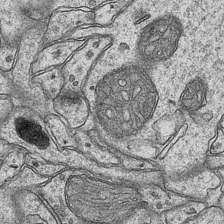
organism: Mouse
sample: CA1 Hippocampus